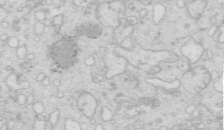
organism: Mouse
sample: Multiciliated cells